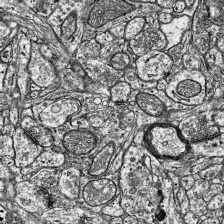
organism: Mouse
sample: Visual Cortex